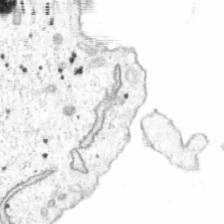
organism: Human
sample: HeLa cells